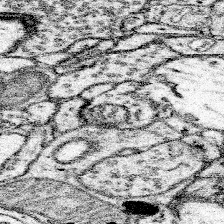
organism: Mouse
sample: Somatosensory cortex neuropil